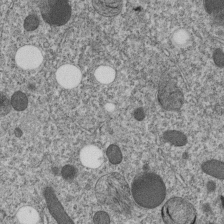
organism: C. elegans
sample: C. elegans embryo early stage